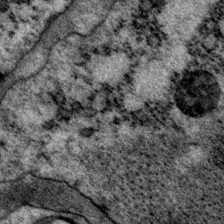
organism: P. pacificus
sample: Pharynx